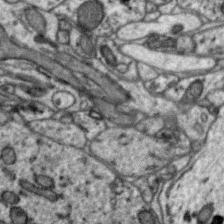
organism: Zebra finch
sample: Brain